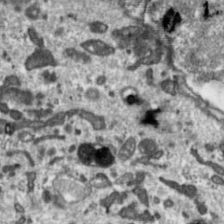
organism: Toxoplasma gondii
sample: Parasites in a vacuole inside a host cell